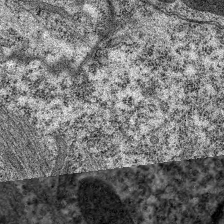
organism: C. elegans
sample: Pharynx